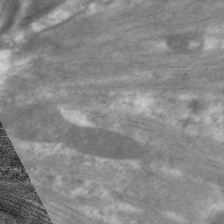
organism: C. elegans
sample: Pharynx